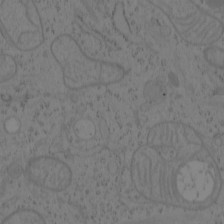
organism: Human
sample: HeLa cells